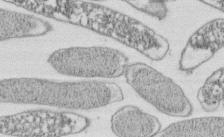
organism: E. coli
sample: Bacterial nucleoid